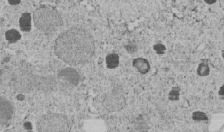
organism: C. elegans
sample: C. elegans embryo early stage